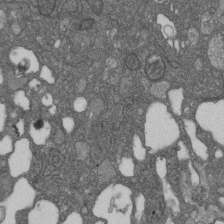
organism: Drosophila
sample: Nephrocyte